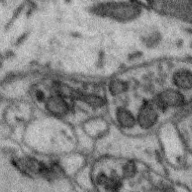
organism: Zebra finch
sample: Brain